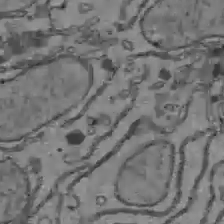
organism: C57BL Mouse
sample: Liver